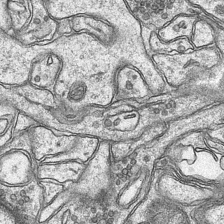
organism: Mouse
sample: CA1 Hippocampus